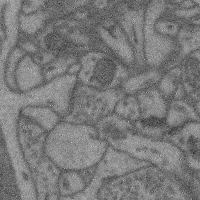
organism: Mouse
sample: Cerebral cortex